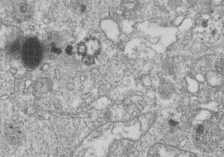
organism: Human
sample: HeLa cell HIV synapse